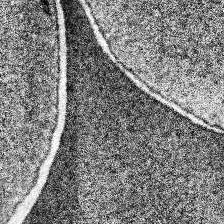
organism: Human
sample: Temporal Lobe